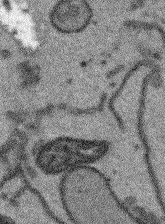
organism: Arabidopsis thaliana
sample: Root tip